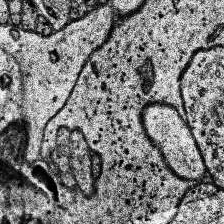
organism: Human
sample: Temporal Lobe